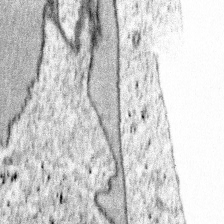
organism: Human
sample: HeLa cells